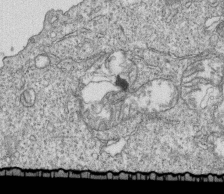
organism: Human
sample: HeLa cell HIV synapse